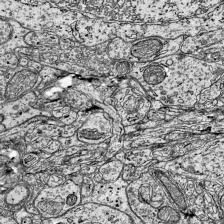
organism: Mouse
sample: Visual Cortex